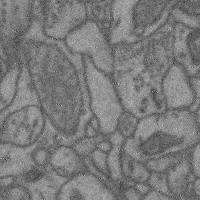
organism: Mouse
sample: Cerebral cortex